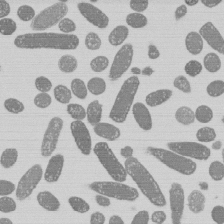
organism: E. coli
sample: Bacterial nucleoid